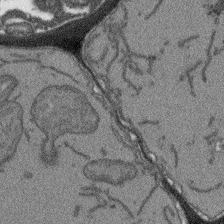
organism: Arabidopsis thaliana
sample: Root tip